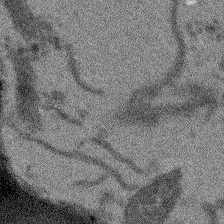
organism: Arabidopsis thaliana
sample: Root tip